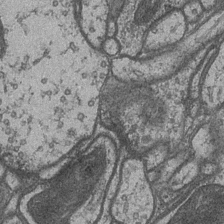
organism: Drosophila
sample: Optic medulla